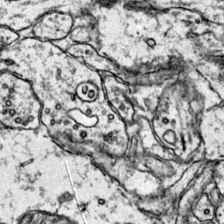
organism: Mouse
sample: Primary visual cortex